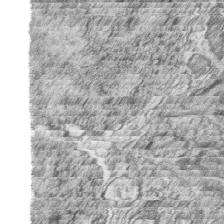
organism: Zebrafish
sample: synaptic ribbons in rod cells and cone cells